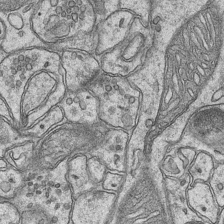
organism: Mouse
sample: CA1 Hippocampus